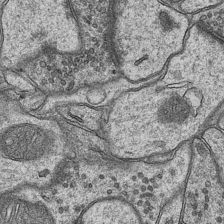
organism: Mouse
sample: CA1 Hippocampus